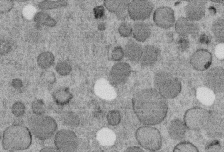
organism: C. elegans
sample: C. elegans embryo early stage